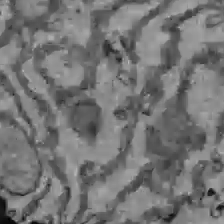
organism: C57BL Mouse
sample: Liver